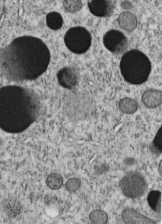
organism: C. elegans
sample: C. elegans embryo early stage